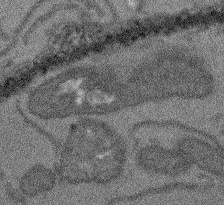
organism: Arabidopsis thaliana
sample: Root tip